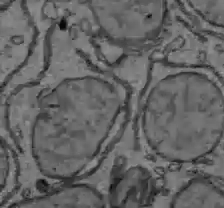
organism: C57BL Mouse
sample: Liver